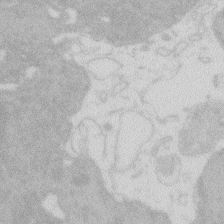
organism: Zebrafish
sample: Macrophage